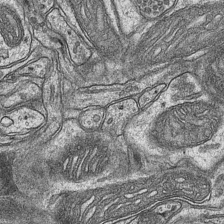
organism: Mouse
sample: CA1 Hippocampus